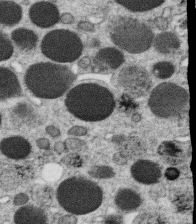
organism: C. elegans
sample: C. elegans oocyte; sperm cells